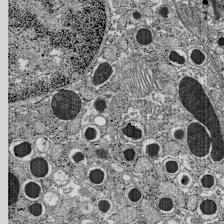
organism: C57BL Mouse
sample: Pancreatic islet